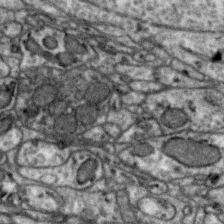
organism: Zebra finch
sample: Brain